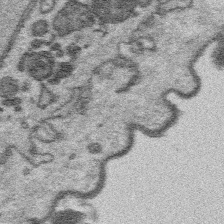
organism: Platynereis dumerilii